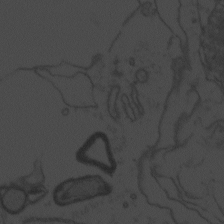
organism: Zebrafish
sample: Macrophage infected with Toxoplasma gondii